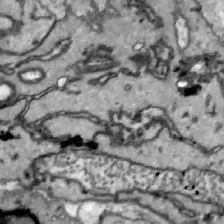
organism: Zebrafish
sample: Actinotrichia fibers